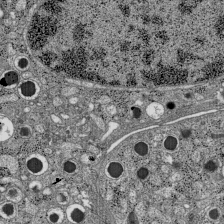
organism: C57BL Mouse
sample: Pancreatic islet